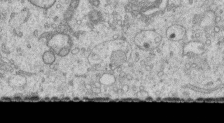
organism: Human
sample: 1205lu cells